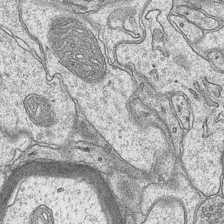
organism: Mouse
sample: CA1 Hippocampus